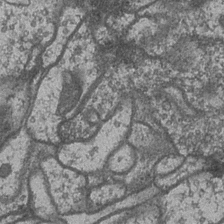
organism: Drosophila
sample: Optic medulla